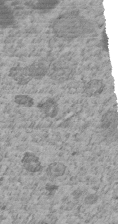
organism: C. elegans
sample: C. elegans embryo early stage